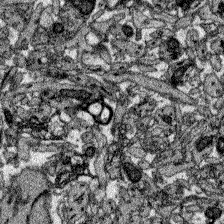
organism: Zebrafish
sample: Larval olfactory bulb